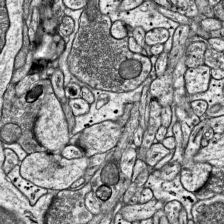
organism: Mouse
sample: Visual Cortex